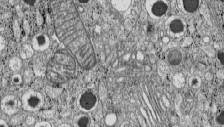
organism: C57BL Mouse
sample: Pancreatic islet